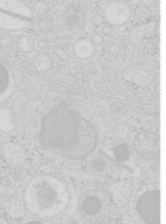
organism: Mouse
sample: Pancreas